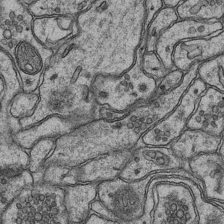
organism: Mouse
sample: CA1 Hippocampus